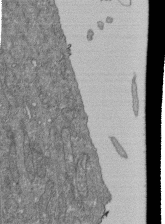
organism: Human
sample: Retinal organoid Rod and Cone cells